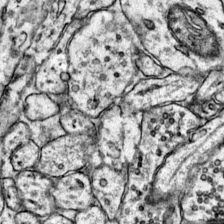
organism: Mouse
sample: Primary visual cortex